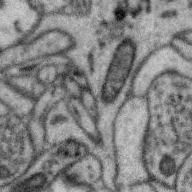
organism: Zebra finch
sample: Brain